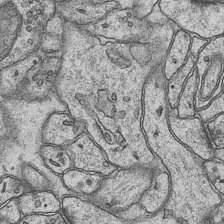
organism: Mouse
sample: CA1 Hippocampus